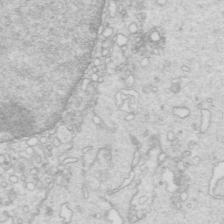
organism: Mouse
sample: Multiciliated cells